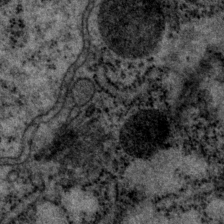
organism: P. pacificus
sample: Pharynx